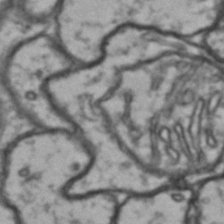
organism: Drosophila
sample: Brain